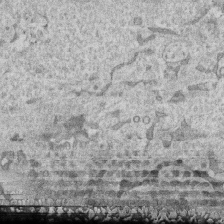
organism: Human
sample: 1205lu cells